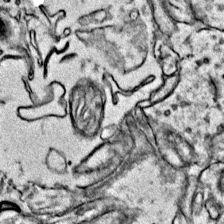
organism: Mouse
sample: Primary visual cortex